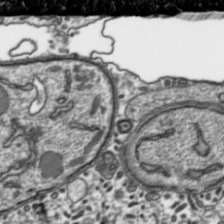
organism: Toxoplasma gondii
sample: Parasites in a vacuole inside a host cell